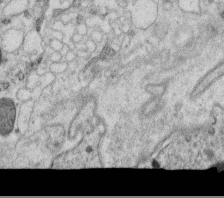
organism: C. elegans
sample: C. elegans oocyte; sperm cells